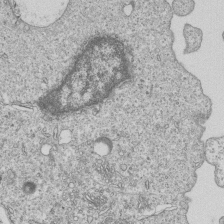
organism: Human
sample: MDA-MB-231 cells